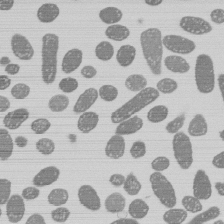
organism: E. coli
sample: Bacterial nucleoid